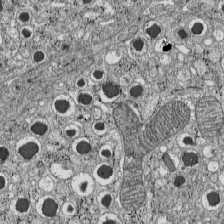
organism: C57BL Mouse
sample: Pancreatic islet